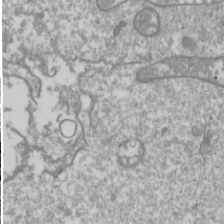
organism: Drosophila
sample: Cell division; meiosis; drosophila spermatocytes